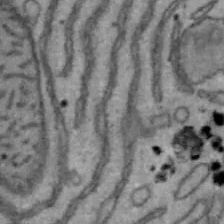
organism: Mouse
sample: Liver